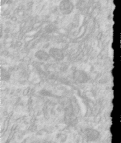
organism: Human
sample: Centriole in RPE cells